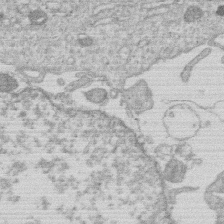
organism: Human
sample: Macrophage cells